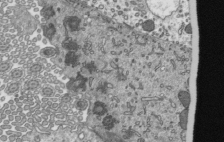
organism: Mouse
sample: Mouse epididymis efferent ductule cilia